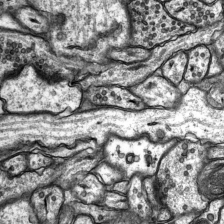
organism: Rat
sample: Hippocampus